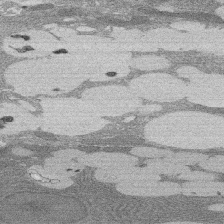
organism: Rat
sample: Salivary granule